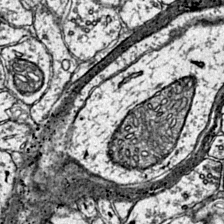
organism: Mouse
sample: Primary visual cortex